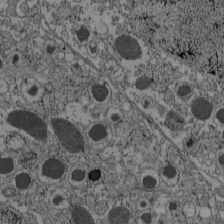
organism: C57BL Mouse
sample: Pancreatic islet